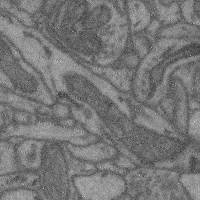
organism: Mouse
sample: Cerebral cortex